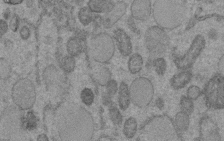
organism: C. elegans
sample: C. elegans embryo early stage